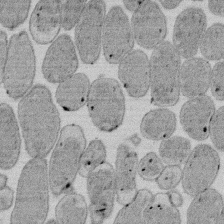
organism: E. coli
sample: Bacterial nucleoid